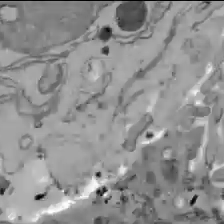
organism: C57BL Mouse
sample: Liver